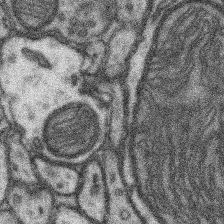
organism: Mouse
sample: Somatosensory cortex neuropil